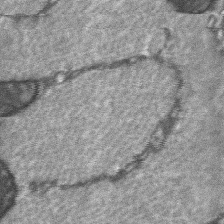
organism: C57BL Mouse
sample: Soleus